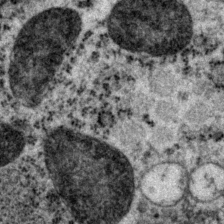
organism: P. pacificus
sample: Pharynx